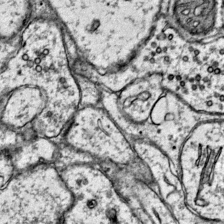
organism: Mouse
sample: Primary visual cortex